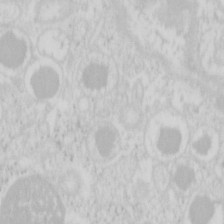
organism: Mouse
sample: Pancreas